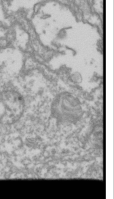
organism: Drosophila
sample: Cell division; meiosis; drosophila spermatocytes